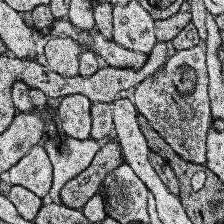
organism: Human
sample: Temporal Lobe